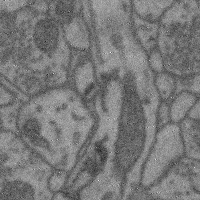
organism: Mouse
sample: Cerebral cortex